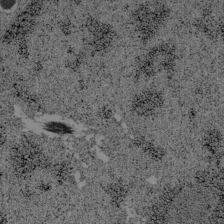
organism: C57BL Mouse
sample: Pancreatic islet